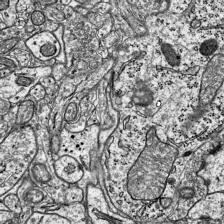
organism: Mouse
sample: Visual Cortex